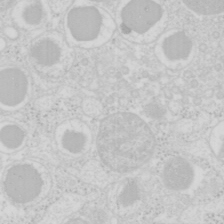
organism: Mouse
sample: Pancreas